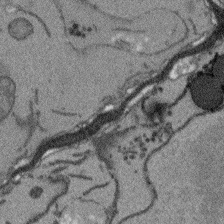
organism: Arabidopsis thaliana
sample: Root tip